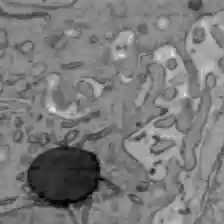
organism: C57BL Mouse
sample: Liver